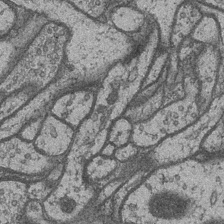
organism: Drosophila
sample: Optic medulla